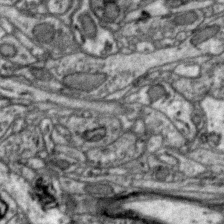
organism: Zebra finch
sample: Brain